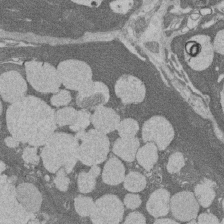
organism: Rat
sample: Salivary granule